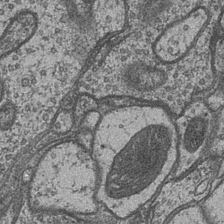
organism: Drosophila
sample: Optic medulla